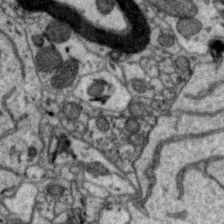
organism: Zebra finch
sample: Brain